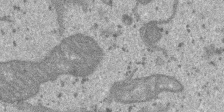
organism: Human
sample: Lung epithelial cells infected with SARS-CoV-2